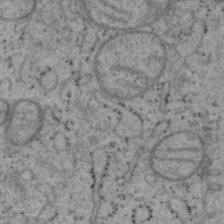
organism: Human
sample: HeLa cells